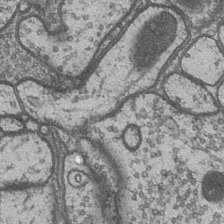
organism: Drosophila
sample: Optic medulla